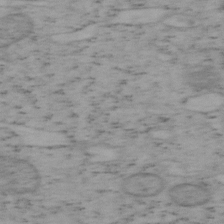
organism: Mouse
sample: OT-I killer T cells with ID8 ovarian cancer cells